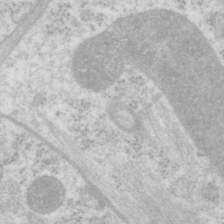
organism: P. pacificus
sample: Pharynx